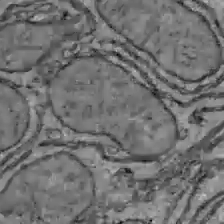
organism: C57BL Mouse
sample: Liver